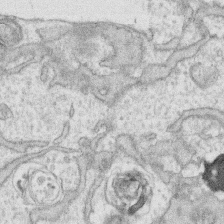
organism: Human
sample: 1205lu cells